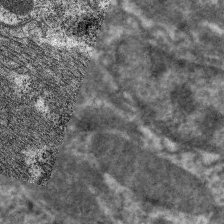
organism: C. elegans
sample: Pharynx